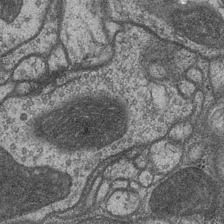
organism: Drosophila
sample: Optic medulla